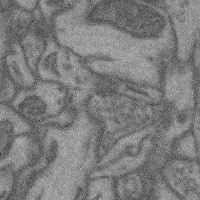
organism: Mouse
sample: Cerebral cortex